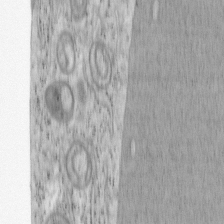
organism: Human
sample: HeLa cells